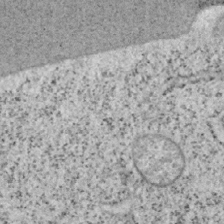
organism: Mouse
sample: OT-I killer T cells with ID8 ovarian cancer cells